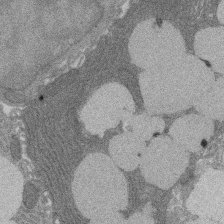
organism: Rat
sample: Salivary granule